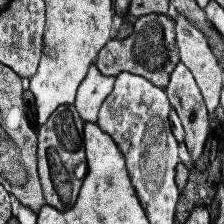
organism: Human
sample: Temporal Lobe